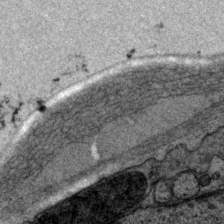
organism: P. pacificus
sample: Pharynx